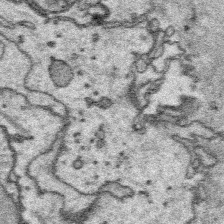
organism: Platynereis dumerilii